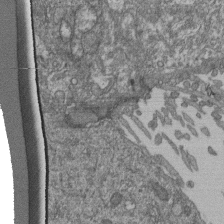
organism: Human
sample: Retinal organoid Rod and Cone cells